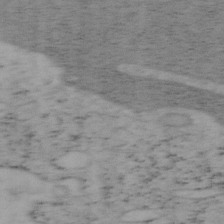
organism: Mouse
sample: OT-I killer T cells with ID8 ovarian cancer cells